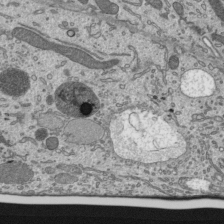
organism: Mouse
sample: Mouse epididymis efferent ductule cilia